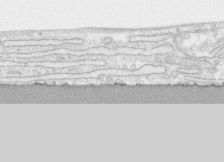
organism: Human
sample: CRL-1474